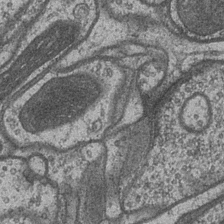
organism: Drosophila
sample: Optic medulla